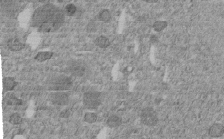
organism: C. elegans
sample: C. elegans embryo early stage